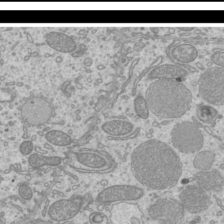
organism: Mouse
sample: Cilia; mouse epididymis